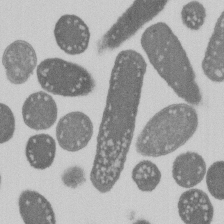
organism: E. coli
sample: Bacterial nucleoid